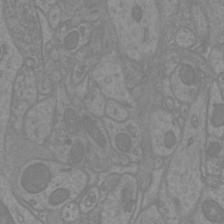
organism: Mouse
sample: Cortical neurons